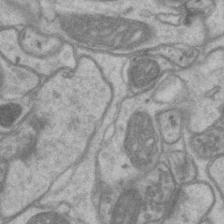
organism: Mouse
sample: CA1 Hippocampus